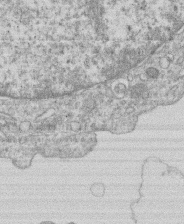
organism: Human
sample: Macrophage cells